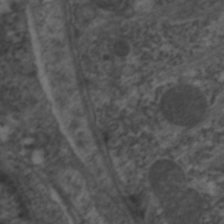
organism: C. elegans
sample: Pharynx